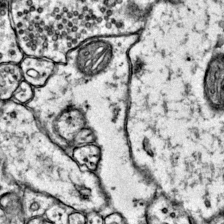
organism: Mouse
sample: Primary visual cortex